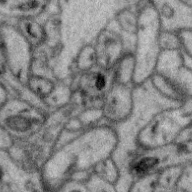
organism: Zebra finch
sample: Brain